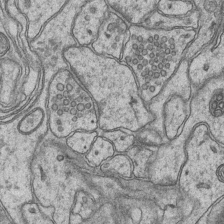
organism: Mouse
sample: CA1 Hippocampus